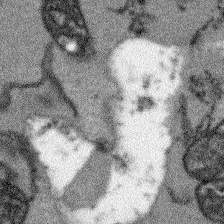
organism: Arabidopsis thaliana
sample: Root tip